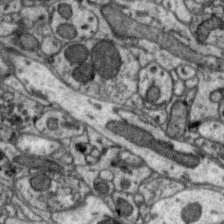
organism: Zebra finch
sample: Brain